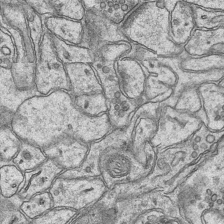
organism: Mouse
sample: CA1 Hippocampus